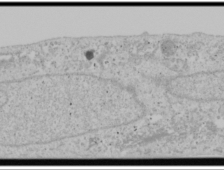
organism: Human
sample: Mitochondria in U2OS cells